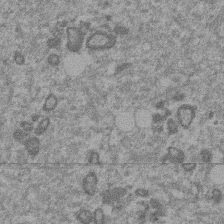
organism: Mouse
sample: Dividing mouse embryo 1 cell stage